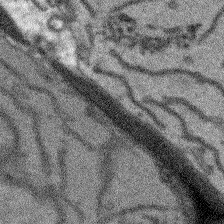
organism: Arabidopsis thaliana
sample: Root tip